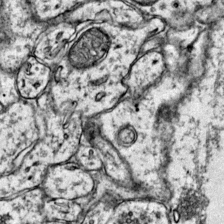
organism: Mouse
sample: Primary visual cortex